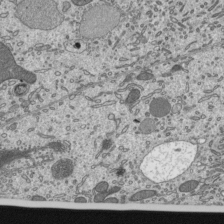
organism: Mouse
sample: Mouse epididymis efferent ductule cilia